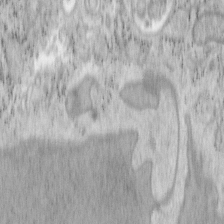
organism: Human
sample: HeLa cells